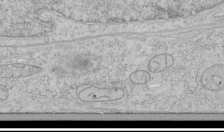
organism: Human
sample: Mitochondria in HCT116 cells